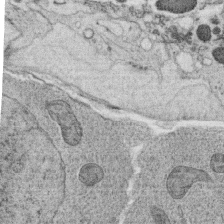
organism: C. elegans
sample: C. elegans oocyte; sperm cells